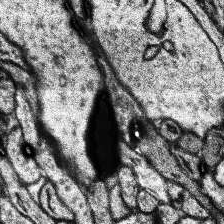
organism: Human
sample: Temporal Lobe